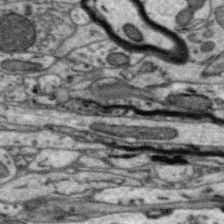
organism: Zebra finch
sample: Brain